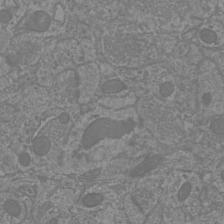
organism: Mouse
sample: Cortical neurons